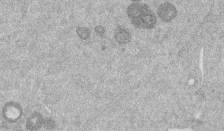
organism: Mouse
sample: Dividing mouse embryo 1 cell stage